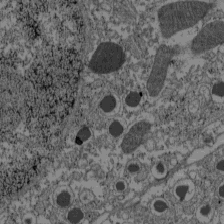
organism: C57BL Mouse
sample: Pancreatic islet